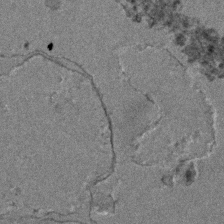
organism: Zebrafish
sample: Zebrafish embryo